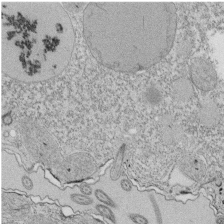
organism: Tetrahymena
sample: Cilia in tetrahymena